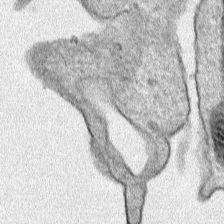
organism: Human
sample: Mitochondria in HCT116 cells